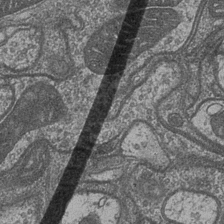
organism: Drosophila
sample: Optic medulla